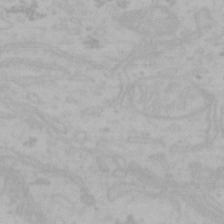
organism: Mouse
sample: Choroid plexus